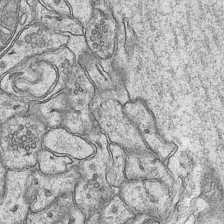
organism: Mouse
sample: CA1 Hippocampus